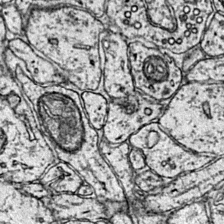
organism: Mouse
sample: Primary visual cortex